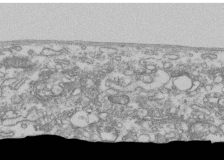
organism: Human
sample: Fibroblast cells